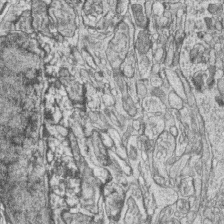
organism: Zebrafish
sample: synaptic ribbons in rod cells and cone cells